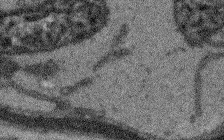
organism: Arabidopsis thaliana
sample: Root tip